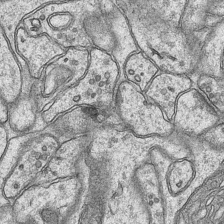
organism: Mouse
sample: CA1 Hippocampus